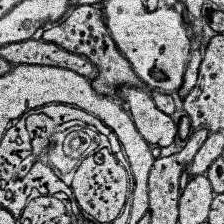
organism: Human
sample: Temporal Lobe